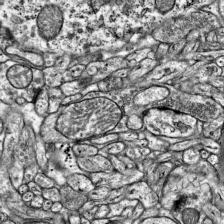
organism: Mouse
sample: Visual Cortex